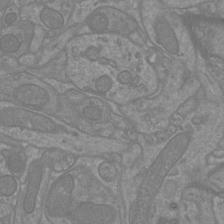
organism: Mouse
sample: Cortical neurons